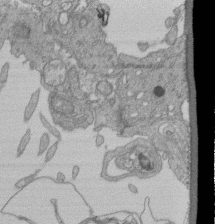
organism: Human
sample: Retinal organoid Rod and Cone cells